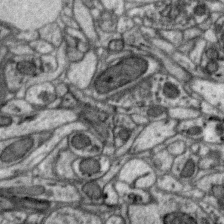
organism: Zebra finch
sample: Brain